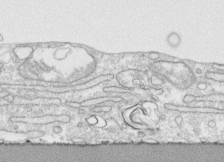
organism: Human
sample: CRL-1474